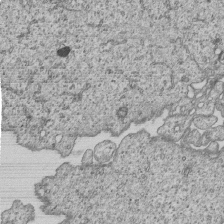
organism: Human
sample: MDA-MB-231 cells